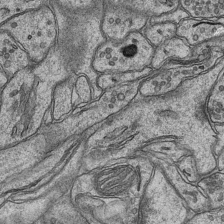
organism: Mouse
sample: CA1 Hippocampus